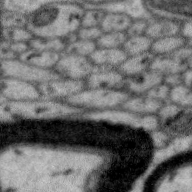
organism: Zebra finch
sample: Brain